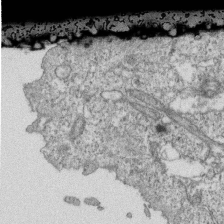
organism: Human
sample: HeLa cell HIV synapse